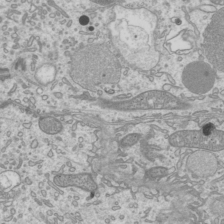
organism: Mouse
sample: Cilia; mouse epididymis